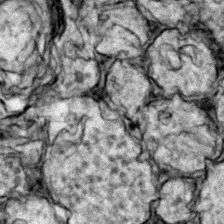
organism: Zebrafish